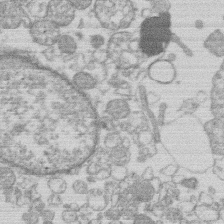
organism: Human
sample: Macrophage cells